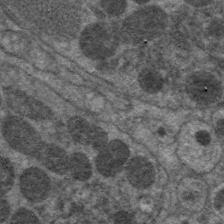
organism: C. elegans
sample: Pharynx